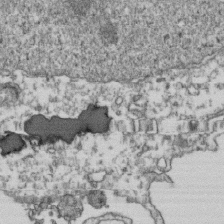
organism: Human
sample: Activated Jurkat CD4+ T cells